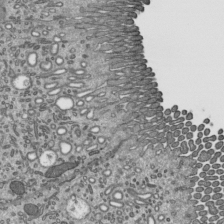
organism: Mouse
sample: Mouse epididymis efferent ductule cilia